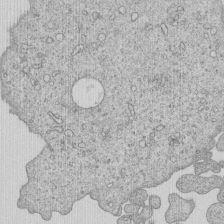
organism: Human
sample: MDA-MB-231 cells